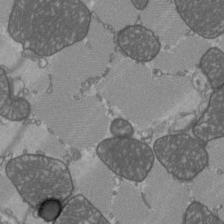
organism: C57BL Mouse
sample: Heart